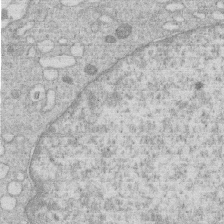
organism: Human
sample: Macrophage cells